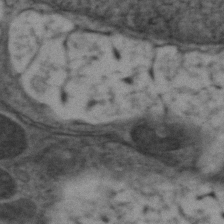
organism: Zebrafish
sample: Zebrafish embryo